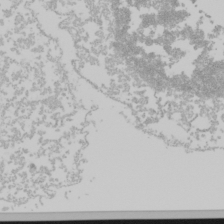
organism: Mouse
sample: Cancer cell death in ED-1 cells